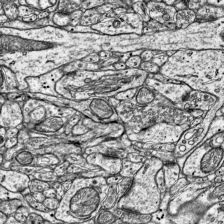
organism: Mouse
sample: Visual Cortex